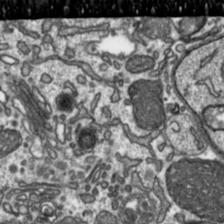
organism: Toxoplasma gondii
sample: Parasites in a vacuole inside a host cell